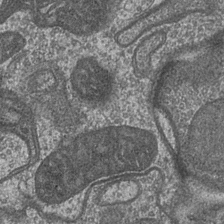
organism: Drosophila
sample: Optic medulla